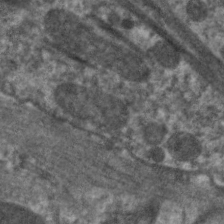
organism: C. elegans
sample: Pharynx